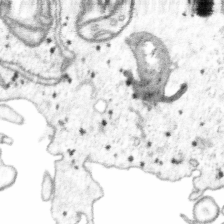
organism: Human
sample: HeLa cells